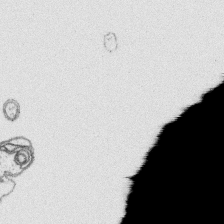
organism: Platynereis dumerilii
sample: Parapodia